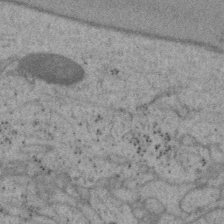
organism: Human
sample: HeLa cells